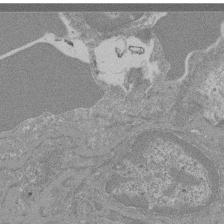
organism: Mouse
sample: Glomerulus